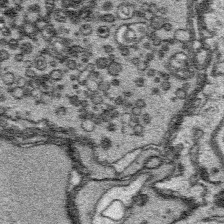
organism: Platynereis dumerilii